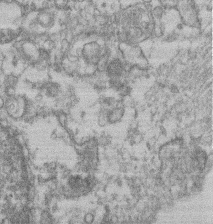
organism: Mouse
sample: T cell stromal cell synapse